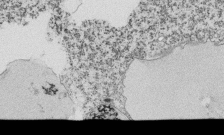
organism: Tetrahymena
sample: Cilia in tetrahymena